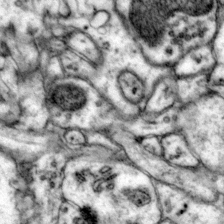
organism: Mouse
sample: Primary visual cortex